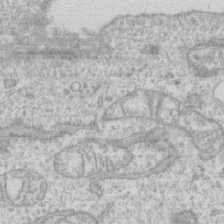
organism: Human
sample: CRL-1474